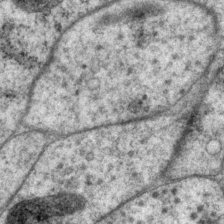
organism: P. pacificus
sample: Pharynx